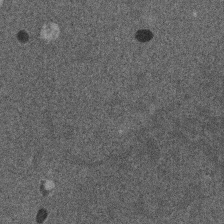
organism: Mouse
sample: Dividing mouse embryo 1 cell stage